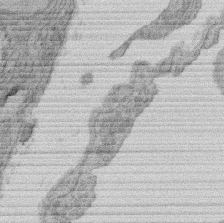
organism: Rat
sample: Salivary granule